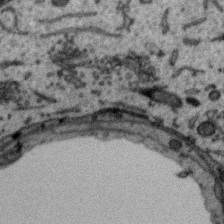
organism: Zebra finch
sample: Brain